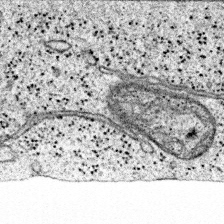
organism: Human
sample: HeLa cells